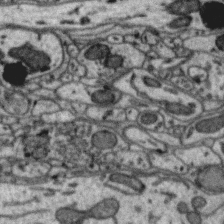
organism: Zebra finch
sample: Brain